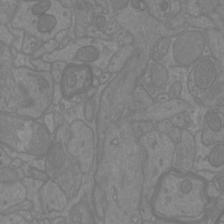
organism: Mouse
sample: Cortical neurons